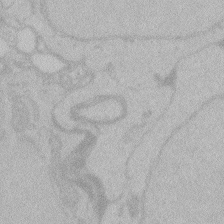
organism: Zebrafish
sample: Macrophage infected with Toxoplasma gondii